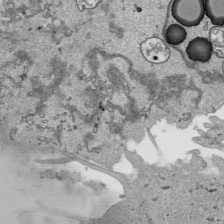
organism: Human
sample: Mitochondria in HCT116 cells